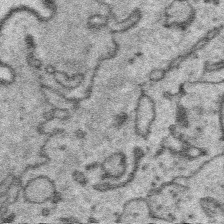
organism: Platynereis dumerilii